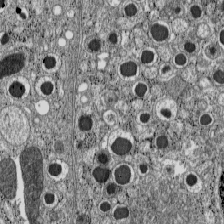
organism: C57BL Mouse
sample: Pancreatic islet